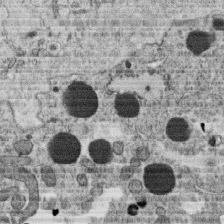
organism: C. elegans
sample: C. elegans oocyte; sperm cells